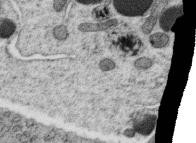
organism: C. elegans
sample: C. elegans oocyte; sperm cells